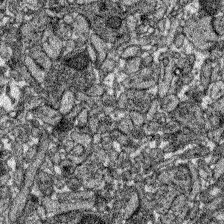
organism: Zebrafish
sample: Larval olfactory bulb